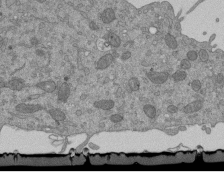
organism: Mouse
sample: ED-1 cell nuclei; centrioles